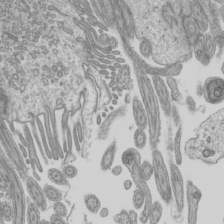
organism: Mouse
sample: Cilia; mouse epididymis